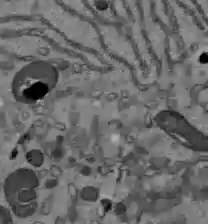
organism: C57BL Mouse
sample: Liver